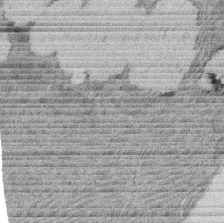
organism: Rat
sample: Salivary granule